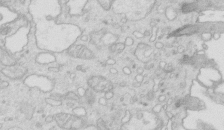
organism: Mouse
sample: Multiciliated cells